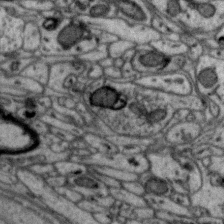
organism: Zebra finch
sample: Brain